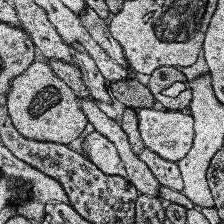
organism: Human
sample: Temporal Lobe